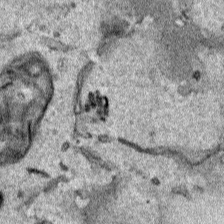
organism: Human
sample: Mitochondria in HCT116 cells